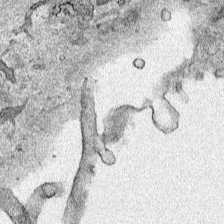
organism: Human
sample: Mitochondria in HCT116 cells